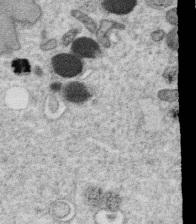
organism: C. elegans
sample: C. elegans oocyte; sperm cells